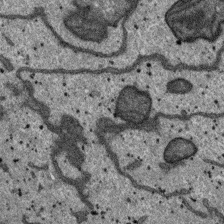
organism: Human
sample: Lung epithelial cells, uninfected (mock) control